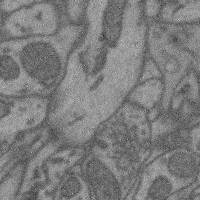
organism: Mouse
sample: Cerebral cortex